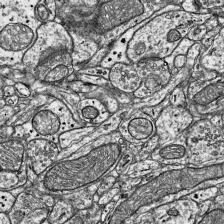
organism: Mouse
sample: Visual Cortex